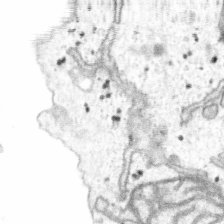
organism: Human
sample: HeLa cells